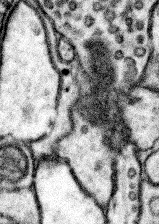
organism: Mouse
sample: Somatosensory cortex neuropil